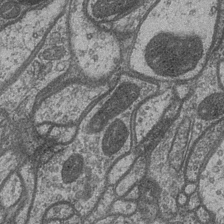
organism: Drosophila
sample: Optic medulla